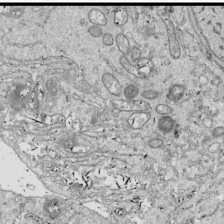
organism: Drosophila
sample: Cell division; meiosis; drosophila spermatocytes